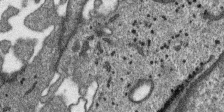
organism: Human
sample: Lung epithelial cells infected with SARS-CoV-2